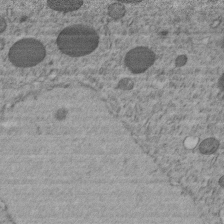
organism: C. elegans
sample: C. elegans embryo early stage